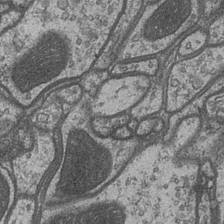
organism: Drosophila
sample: Optic medulla